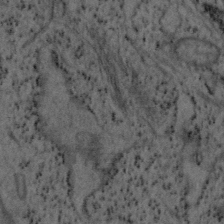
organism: Human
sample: HeLa cells